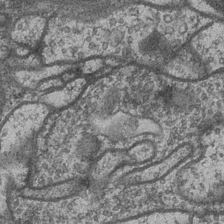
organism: Drosophila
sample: Optic medulla